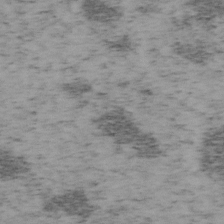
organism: Mouse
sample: OT-I killer T cells with ID8 ovarian cancer cells